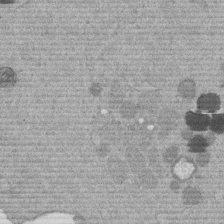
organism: Mouse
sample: Dividing mouse embryo 1 cell stage